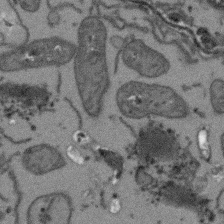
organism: Arabidopsis thaliana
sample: Root tip